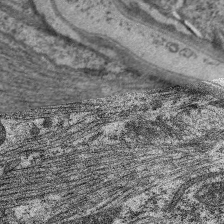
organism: C. elegans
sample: Pharynx